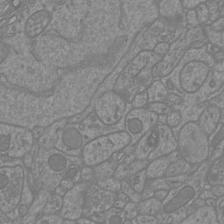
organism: Mouse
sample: Cortical neurons